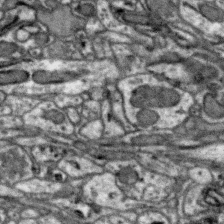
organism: Zebra finch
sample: Brain